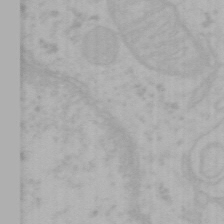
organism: Mouse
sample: Choroid plexus